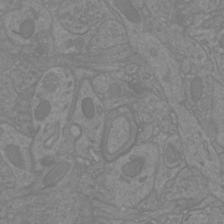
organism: Mouse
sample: Cortical neurons